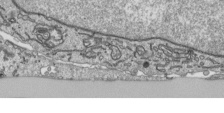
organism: Human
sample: Mitochondria in HCT116 cells